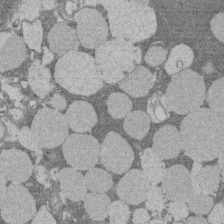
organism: Rat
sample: Salivary granule